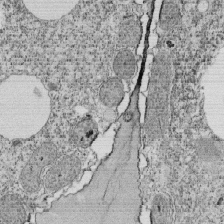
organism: Tetrahymena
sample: Cilia in tetrahymena